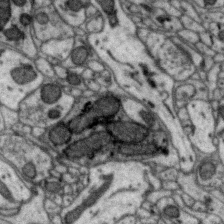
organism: Zebra finch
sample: Brain